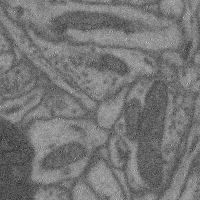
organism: Mouse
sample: Cerebral cortex